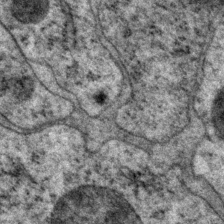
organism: P. pacificus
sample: Pharynx